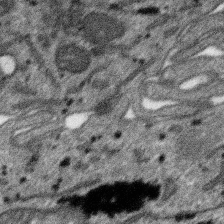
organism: Human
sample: Lung epithelial cells infected with SARS-CoV-2